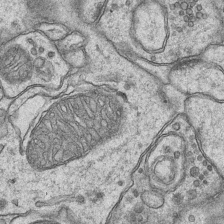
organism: Mouse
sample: CA1 Hippocampus